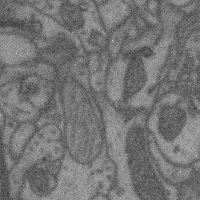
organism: Mouse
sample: Cerebral cortex